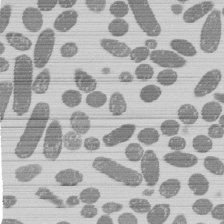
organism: E. coli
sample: Bacterial nucleoid